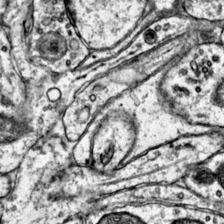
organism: Mouse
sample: Primary visual cortex